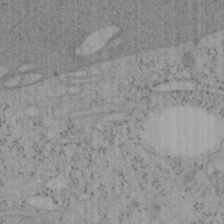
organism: Mouse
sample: OT-I killer T cells with ID8 ovarian cancer cells